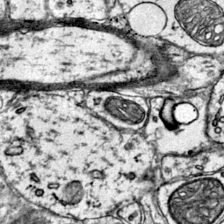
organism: Mouse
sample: Primary visual cortex